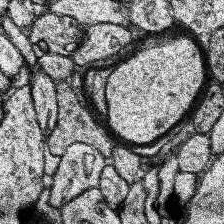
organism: Human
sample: Temporal Lobe